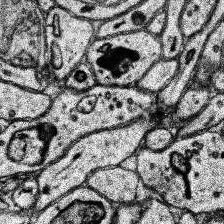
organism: Human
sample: Temporal Lobe